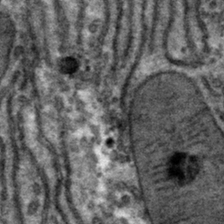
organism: Mouse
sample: Mouse hepatocytes